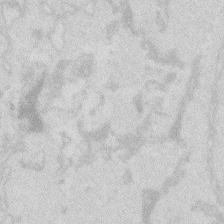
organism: Zebrafish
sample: Macrophage